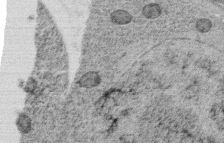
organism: C. elegans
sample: C. elegans oocyte; sperm cells